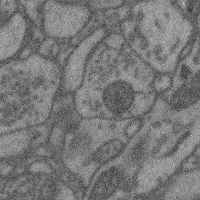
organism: Mouse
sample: Cerebral cortex